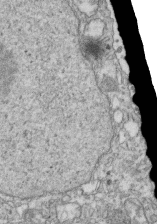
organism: Human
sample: HeLa cell HIV synapse